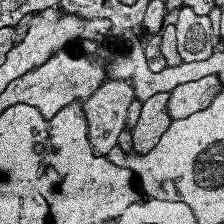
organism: Human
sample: Temporal Lobe